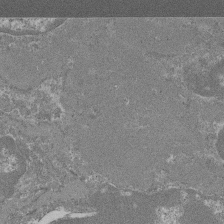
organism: Mouse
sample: Glomerulus